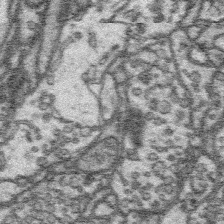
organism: Platynereis dumerilii